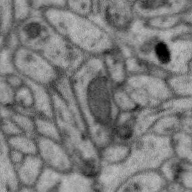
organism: Zebra finch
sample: Brain